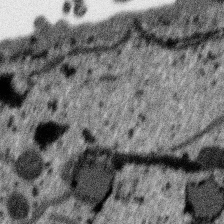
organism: Human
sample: Lung epithelial cells infected with SARS-CoV-2